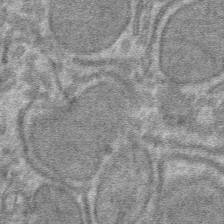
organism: Mouse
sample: Mouse hepatocytes